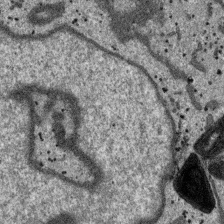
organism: Human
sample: Lung epithelial cells, uninfected (mock) control